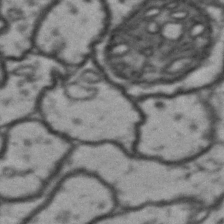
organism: Drosophila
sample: Brain